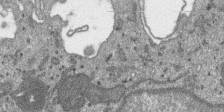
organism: Human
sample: Lung epithelial cells infected with SARS-CoV-2